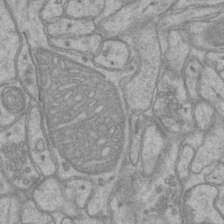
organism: Mouse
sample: CA1 Hippocampus